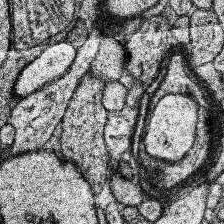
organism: Human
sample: Temporal Lobe